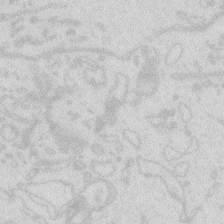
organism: Zebrafish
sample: Macrophage